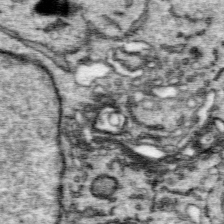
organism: Human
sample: HeLa cells